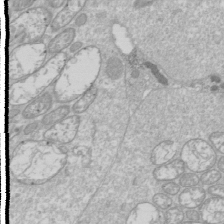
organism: Drosophila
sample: Cell division; meiosis; drosophila spermatocytes